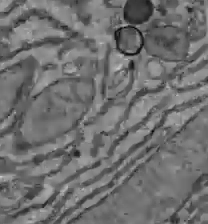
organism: C57BL Mouse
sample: Liver